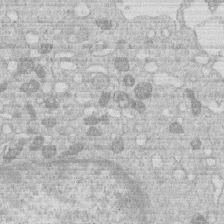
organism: Human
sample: Macrophage cells